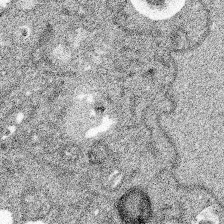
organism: Spongilla lacustris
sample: Multiple